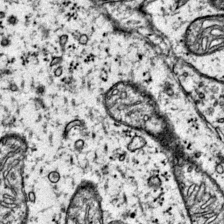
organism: Mouse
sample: Primary visual cortex